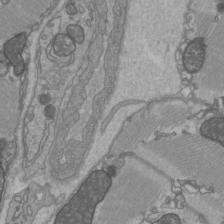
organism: C57BL Mouse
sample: Heart